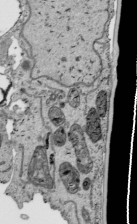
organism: Human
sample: Mitochondria in HCT116 cells